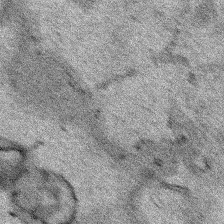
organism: Human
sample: Mitochondria in HCT116 cells